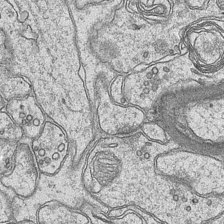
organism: Mouse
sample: CA1 Hippocampus